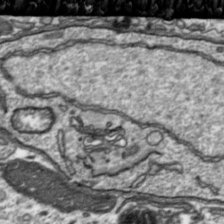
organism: Toxoplasma gondii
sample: Parasites in a vacuole inside a host cell